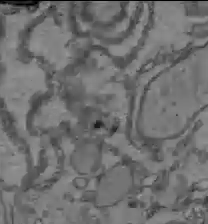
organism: C57BL Mouse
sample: Liver